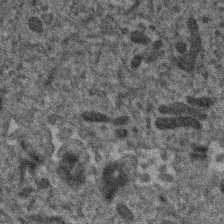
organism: Human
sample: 1205lu cells